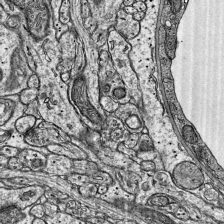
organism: Mouse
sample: Visual Cortex